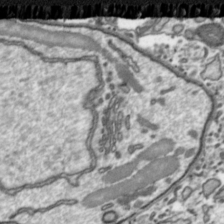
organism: Toxoplasma gondii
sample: Parasites in a vacuole inside a host cell